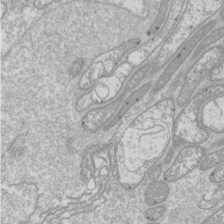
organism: Drosophila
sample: Cell division; meiosis; drosophila spermatocytes